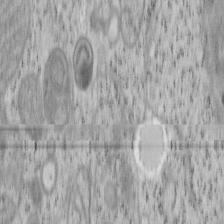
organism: Human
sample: HeLa cells